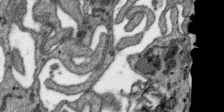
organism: Human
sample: Lung epithelial cells, uninfected (mock) control